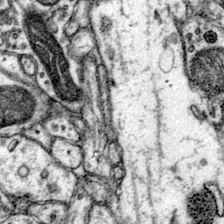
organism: Mouse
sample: Primary visual cortex